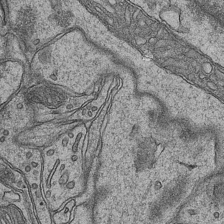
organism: Mouse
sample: CA1 Hippocampus